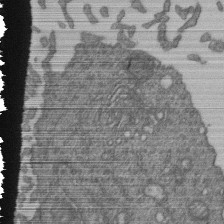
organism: Human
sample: Retinal organoid Rod and Cone cells